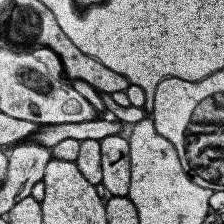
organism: Human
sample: Temporal Lobe